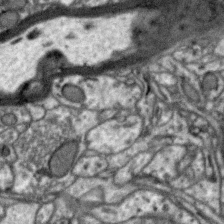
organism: Zebra finch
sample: Brain